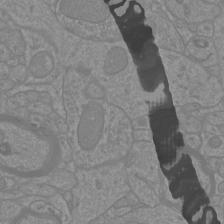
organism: Mouse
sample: Cortical neurons